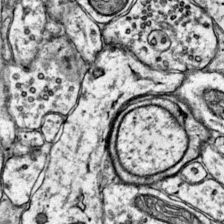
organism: Mouse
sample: Primary visual cortex